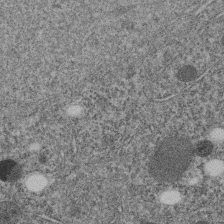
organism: C. elegans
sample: C. elegans embryo early stage